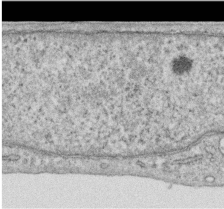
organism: Human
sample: Centriole in RPE cells